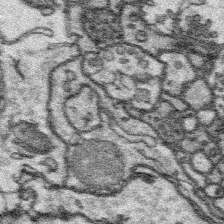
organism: Platynereis dumerilii